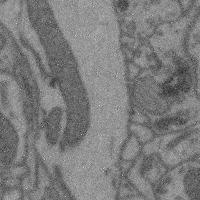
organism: Mouse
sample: Cerebral cortex